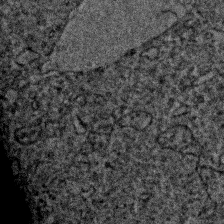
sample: Trachea